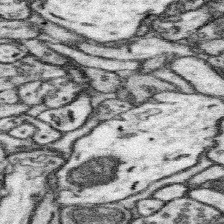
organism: Mouse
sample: Somatosensory cortex neuropil